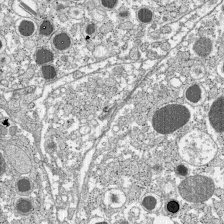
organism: C57BL Mouse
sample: Pancreatic islet